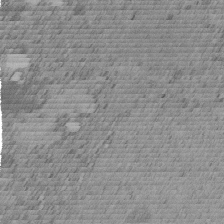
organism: C. elegans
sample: C. elegans embryo early stage